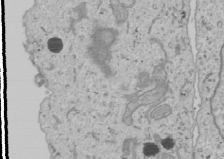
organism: Human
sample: Mitochondria in U2OS cells